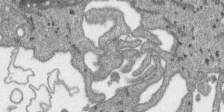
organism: Human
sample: Lung epithelial cells infected with SARS-CoV-2